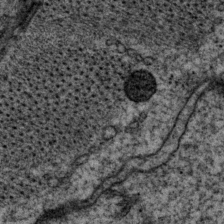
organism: P. pacificus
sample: Pharynx